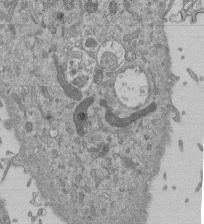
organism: Mouse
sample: ED-1 cell nuclei; centrioles